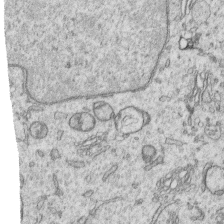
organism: Human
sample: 1205lu cells